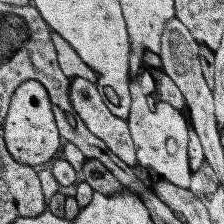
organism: Human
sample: Temporal Lobe